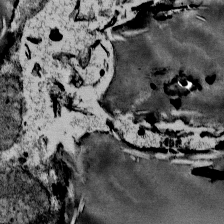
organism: Mouse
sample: Mouse Salivary gland